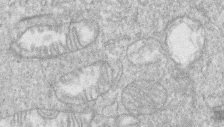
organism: Human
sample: HeLa cell HIV synapse